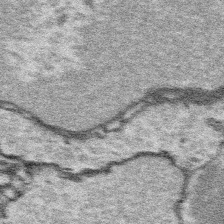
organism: Platynereis dumerilii